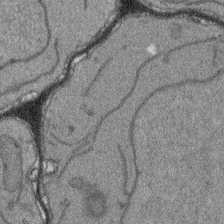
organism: Arabidopsis thaliana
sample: Root tip